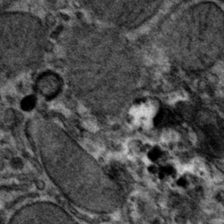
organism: Mouse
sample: Mouse hepatocytes